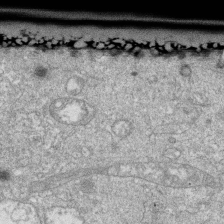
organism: Human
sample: HeLa cell HIV synapse